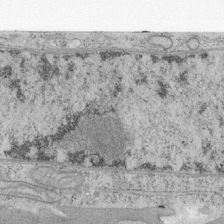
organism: Human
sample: HeLa cells